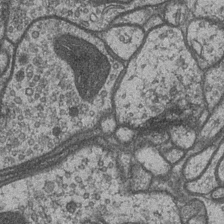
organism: Drosophila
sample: Optic medulla